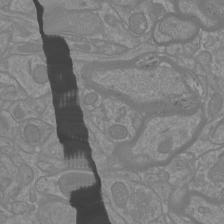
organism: Mouse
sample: Cortical neurons